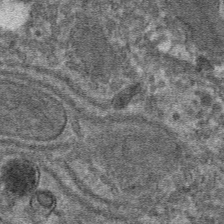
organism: Mouse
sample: Mouse hepatocytes